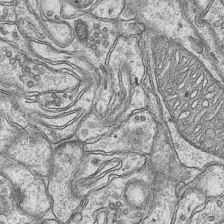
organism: Mouse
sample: CA1 Hippocampus